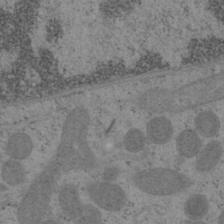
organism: Mouse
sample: OT-I killer T cells with ID8 ovarian cancer cells